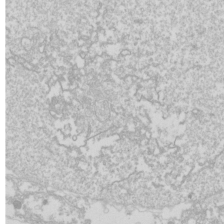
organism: Drosophila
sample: Cell division; meiosis; drosophila spermatocytes